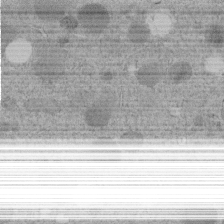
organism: C. elegans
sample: C. elegans embryo early stage